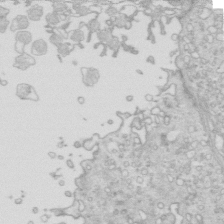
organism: Mouse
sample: Multiciliated cells